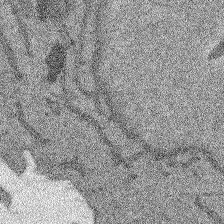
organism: Human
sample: HeLa cells